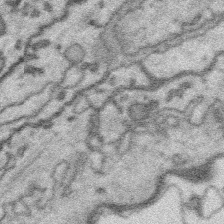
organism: Platynereis dumerilii